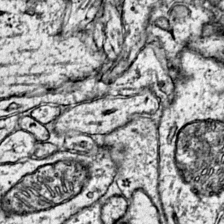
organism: Mouse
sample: Primary visual cortex